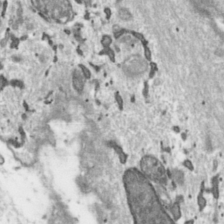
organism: Toxoplasma gondii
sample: Parasites in a vacuole inside a host cell